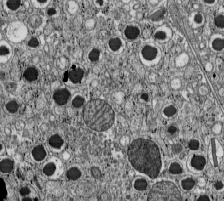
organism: C57BL Mouse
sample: Pancreatic islet